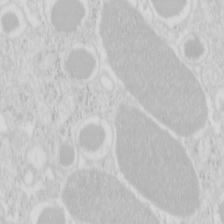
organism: Mouse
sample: Pancreas